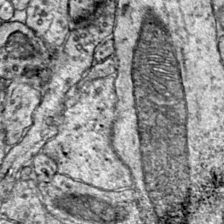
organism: Mouse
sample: Primary visual cortex